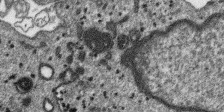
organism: Human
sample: Lung epithelial cells infected with SARS-CoV-2